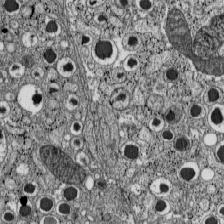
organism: C57BL Mouse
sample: Pancreatic islet